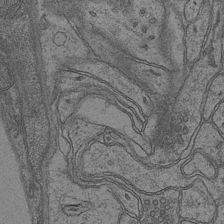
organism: Mouse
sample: CA1 Hippocampus